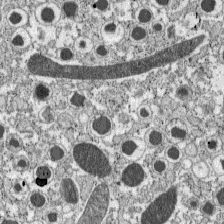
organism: C57BL Mouse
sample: Pancreatic islet